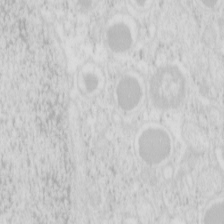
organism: Mouse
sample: Pancreas